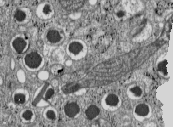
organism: C57BL Mouse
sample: Pancreatic islet